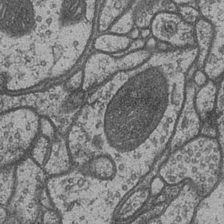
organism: Drosophila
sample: Optic medulla